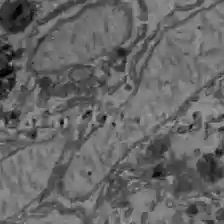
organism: C57BL Mouse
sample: Liver